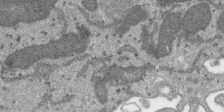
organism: Human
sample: Lung epithelial cells infected with SARS-CoV-2